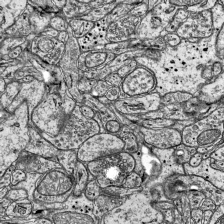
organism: Mouse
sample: Visual Cortex